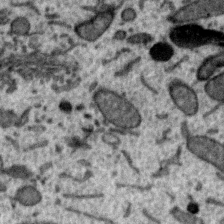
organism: Zebra finch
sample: Brain